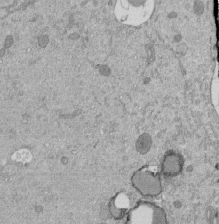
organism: Mouse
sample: ED-1 cell nuclei; centrioles